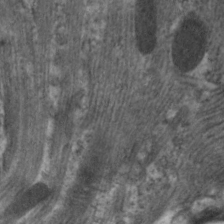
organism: C. elegans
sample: Pharynx